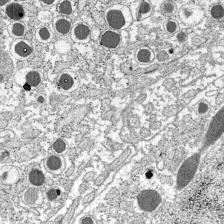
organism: C57BL Mouse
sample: Pancreatic islet